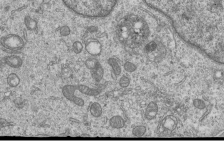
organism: Human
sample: MDA-MB-231 cells